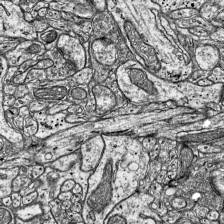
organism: Mouse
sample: Visual Cortex